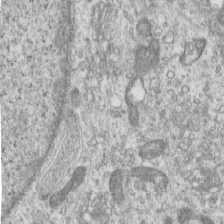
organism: Human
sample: Centriole in RPE cells